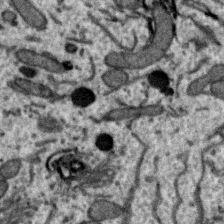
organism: Zebra finch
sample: Brain